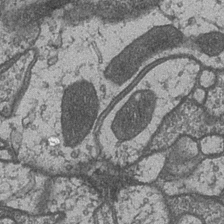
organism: Drosophila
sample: Optic medulla